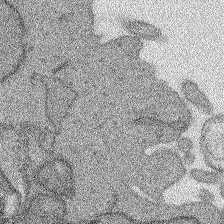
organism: Human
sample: HeLa cells